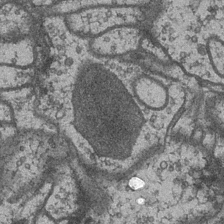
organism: Drosophila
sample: Optic medulla